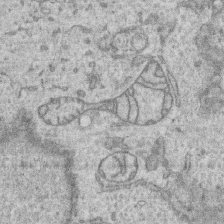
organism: Human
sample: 1205lu cells